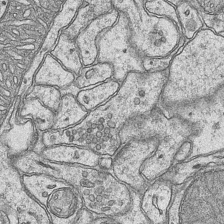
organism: Mouse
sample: CA1 Hippocampus